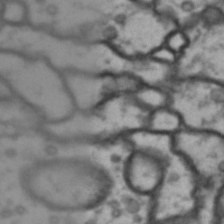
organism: Drosophila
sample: Brain